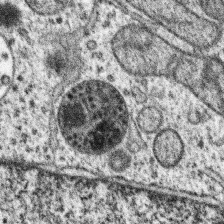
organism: Human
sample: HeLa cells